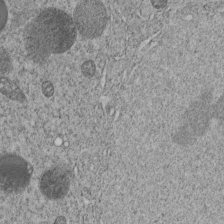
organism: C. elegans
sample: C. elegans embryo early stage